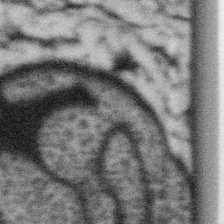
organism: Gemmata obscuriglobus